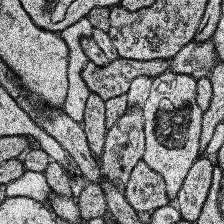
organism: Human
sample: Temporal Lobe